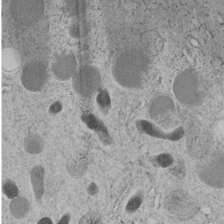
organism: C. elegans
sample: C. elegans embryo early stage